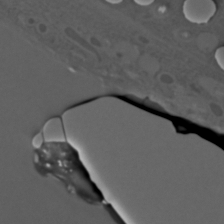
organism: C. elegans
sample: C. elegans embryo